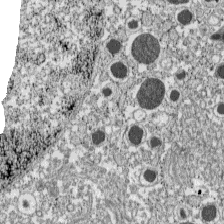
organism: C57BL Mouse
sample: Pancreatic islet